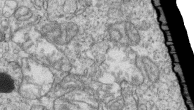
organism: Human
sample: HeLa cell HIV synapse